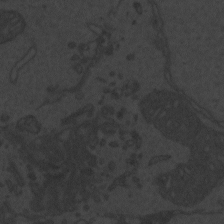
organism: Zebrafish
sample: Macrophage infected with Toxoplasma gondii